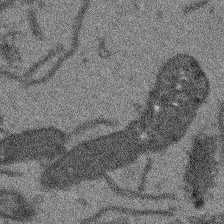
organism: Arabidopsis thaliana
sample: Root tip